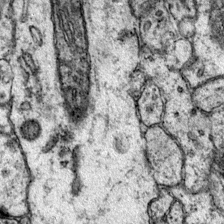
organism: Mouse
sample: Primary visual cortex